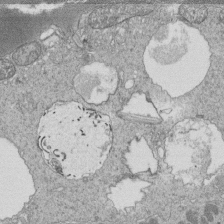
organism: Tetrahymena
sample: Cilia in tetrahymena